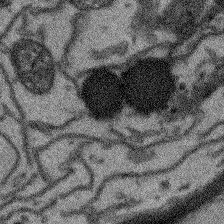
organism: Arabidopsis thaliana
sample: Root tip